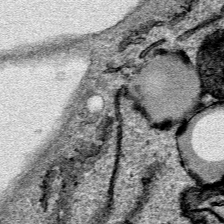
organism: Human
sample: Mitochondria in HCT116 cells